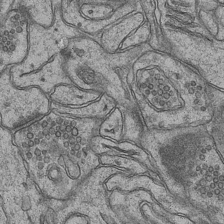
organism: Mouse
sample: CA1 Hippocampus